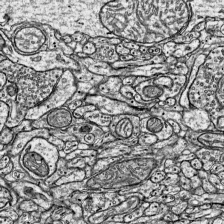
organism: Mouse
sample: Visual Cortex